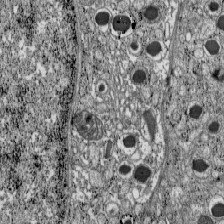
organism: C57BL Mouse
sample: Pancreatic islet